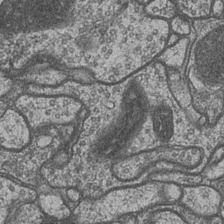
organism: Drosophila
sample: Optic medulla